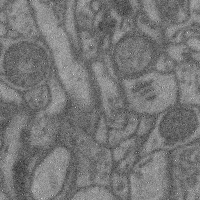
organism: Mouse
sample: Cerebral cortex